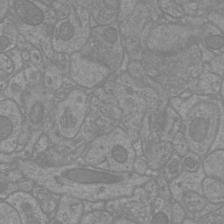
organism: Mouse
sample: Cortical neurons